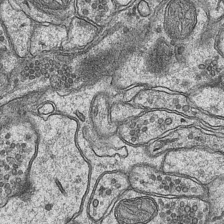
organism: Mouse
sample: CA1 Hippocampus